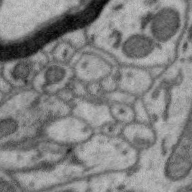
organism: Zebra finch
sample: Brain